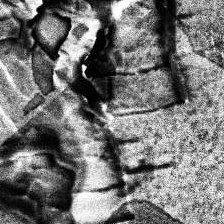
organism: Human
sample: Temporal Lobe